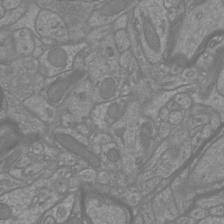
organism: Mouse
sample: Cortical neurons